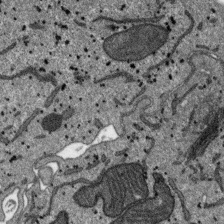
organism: Human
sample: Lung epithelial cells, uninfected (mock) control